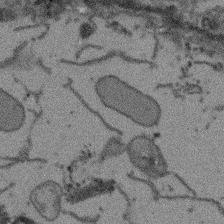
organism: Arabidopsis thaliana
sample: Root tip